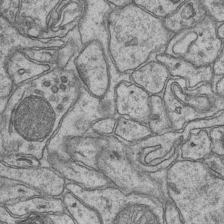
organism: Mouse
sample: CA1 Hippocampus